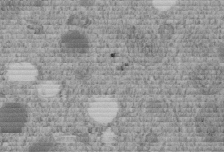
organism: C. elegans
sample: C. elegans embryo early stage